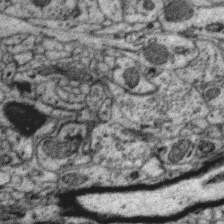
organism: Zebra finch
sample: Brain